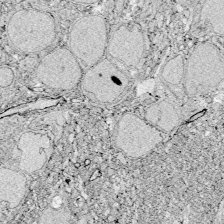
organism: Zebrafish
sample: Whole-Brain